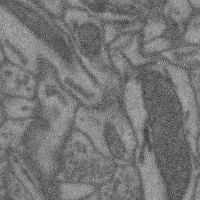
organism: Mouse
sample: Cerebral cortex